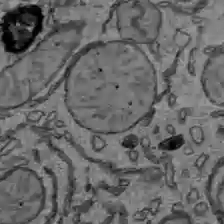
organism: C57BL Mouse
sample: Liver